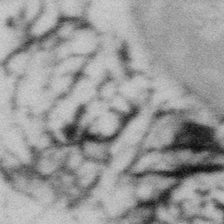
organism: Gemmata obscuriglobus